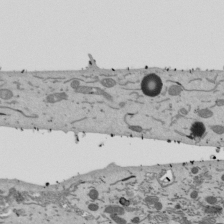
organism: Mouse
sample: ED-1 cell nuclei; centrioles